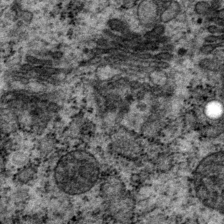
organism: P. pacificus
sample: Pharynx